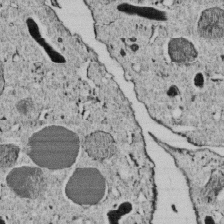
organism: C. elegans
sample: C. elegans embryo early stage